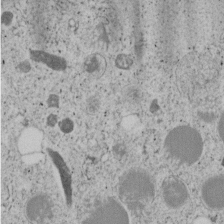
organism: C. elegans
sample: C. elegans embryo early stage